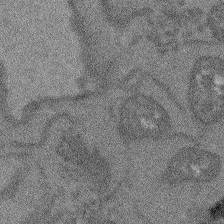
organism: Arabidopsis thaliana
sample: Root tip